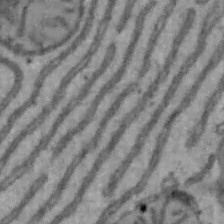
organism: Mouse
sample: Liver